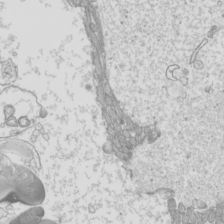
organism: Mouse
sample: Cilia; mouse epididymis